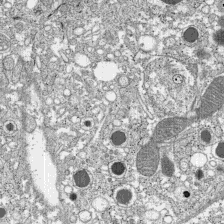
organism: C57BL Mouse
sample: Pancreatic islet